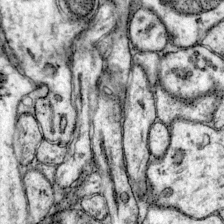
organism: Mouse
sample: Primary visual cortex